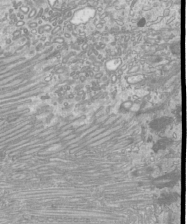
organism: Mouse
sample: Cilia; mouse epididymis